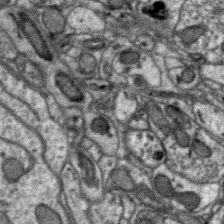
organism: Zebra finch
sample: Brain